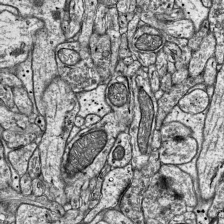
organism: Mouse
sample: Visual Cortex